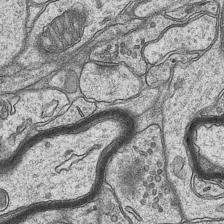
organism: Mouse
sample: CA1 Hippocampus